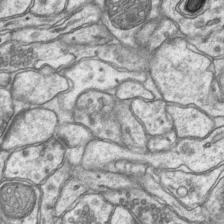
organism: Mouse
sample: CA1 Hippocampus